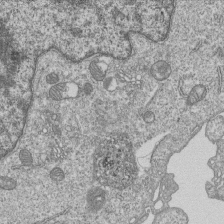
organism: Human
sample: MDA-MB-231 cells